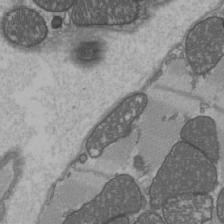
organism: C57BL Mouse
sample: Heart